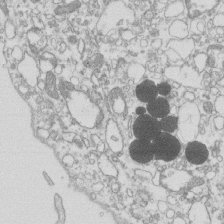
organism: Mouse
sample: Macrophages